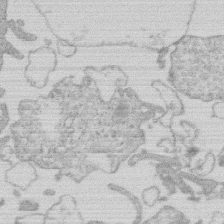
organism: Human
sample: Macrophage cells